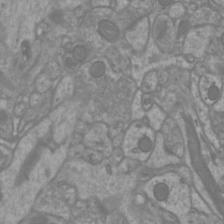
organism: Mouse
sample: Cortical neurons